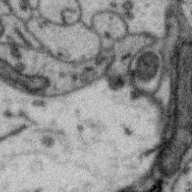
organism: Zebra finch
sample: Brain